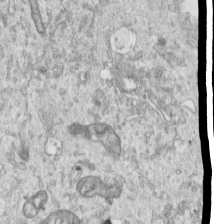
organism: Human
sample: Centriole in RPE cells